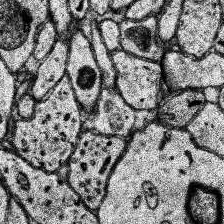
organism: Human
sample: Temporal Lobe